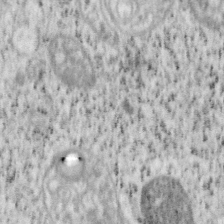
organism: Mouse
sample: OT-I killer T cells with ID8 ovarian cancer cells